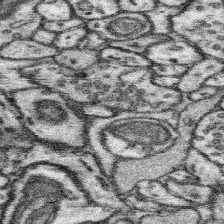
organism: Mouse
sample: Somatosensory cortex neuropil